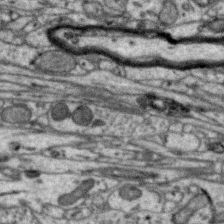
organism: Zebra finch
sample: Brain